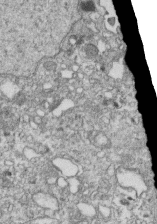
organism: Human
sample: HeLa cell HIV synapse